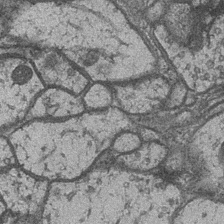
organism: Drosophila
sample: Optic medulla